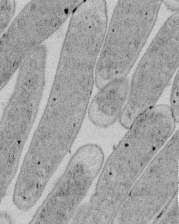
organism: E. coli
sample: Bacterial nucleoid